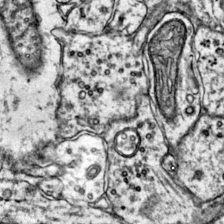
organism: Mouse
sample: Primary visual cortex